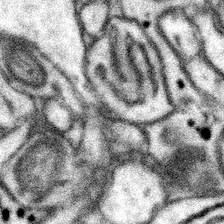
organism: Mouse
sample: Somatosensory cortex neuropil